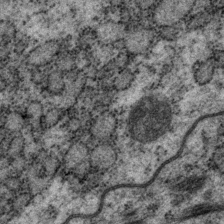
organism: P. pacificus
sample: Pharynx